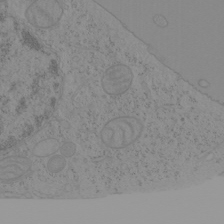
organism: Human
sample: HeLa cells